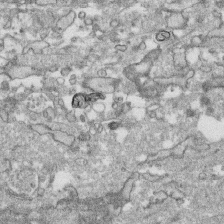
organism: Human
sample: CRL-1474